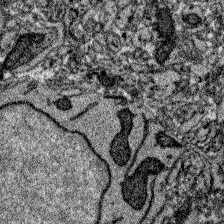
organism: Zebrafish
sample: Larval olfactory bulb